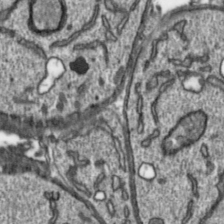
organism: Toxoplasma gondii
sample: Parasites in a vacuole inside a host cell